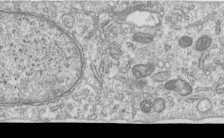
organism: Human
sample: Centriole in RPE cells